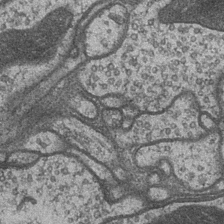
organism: Drosophila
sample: Optic medulla